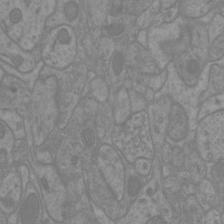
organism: Mouse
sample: Cortical neurons